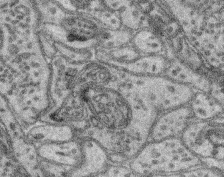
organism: Mouse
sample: Retina